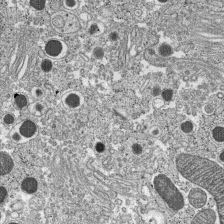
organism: C57BL Mouse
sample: Pancreatic islet